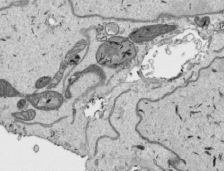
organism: Human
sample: Mitochondria in HCT116 cells